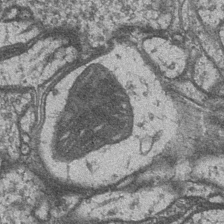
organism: Drosophila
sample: Optic medulla